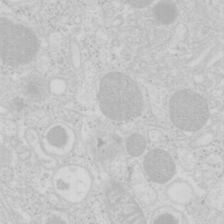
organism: Mouse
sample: Pancreas